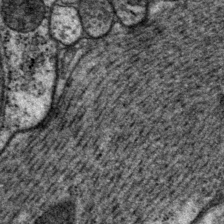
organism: P. pacificus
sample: Pharynx